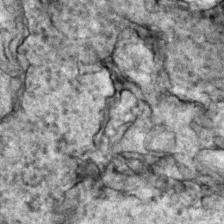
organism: Zebrafish